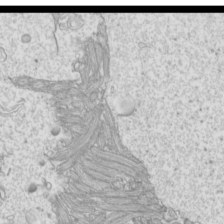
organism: Mouse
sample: Cilia; mouse epididymis